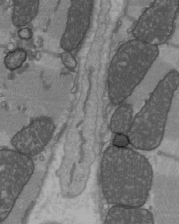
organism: C57BL Mouse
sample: Heart